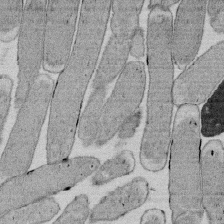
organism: E. coli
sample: Bacterial nucleoid